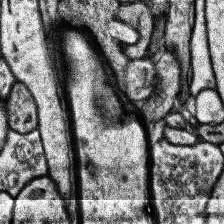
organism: Human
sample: Temporal Lobe